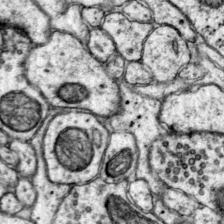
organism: Mouse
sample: Primary visual cortex